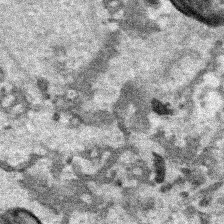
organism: Human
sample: Mitochondria in HCT116 cells